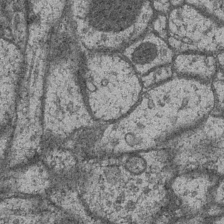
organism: Drosophila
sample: Optic medulla